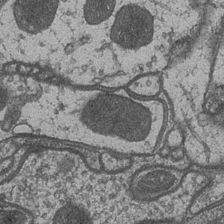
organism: Drosophila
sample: Optic medulla